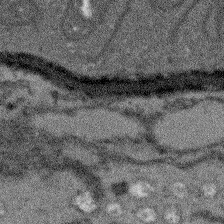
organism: Arabidopsis thaliana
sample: Root tip